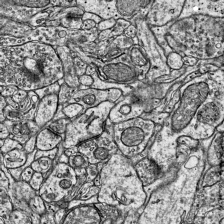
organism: Mouse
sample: Visual Cortex